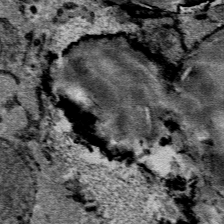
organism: Mouse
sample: Mouse Salivary gland